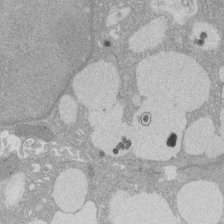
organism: Rat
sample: Salivary granule